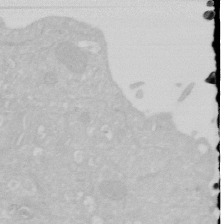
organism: Human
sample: HIV infected U937 cells